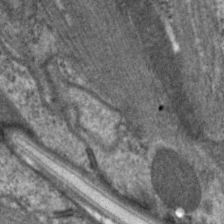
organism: C. elegans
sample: Pharynx